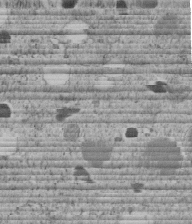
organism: C. elegans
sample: C. elegans embryo early stage